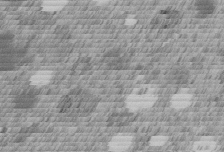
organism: C. elegans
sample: C. elegans embryo early stage